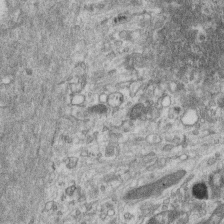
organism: Mouse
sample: Centriole in ependymal cells